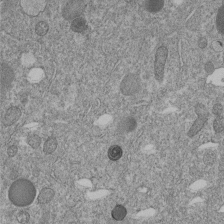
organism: C. elegans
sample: C. elegans embryo early stage